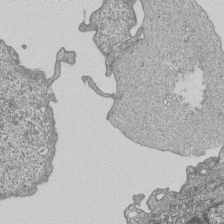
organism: Human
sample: MDA-MB-231 cells